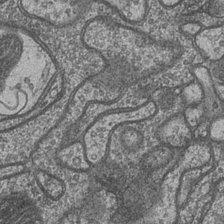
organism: Drosophila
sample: Optic medulla